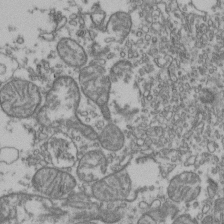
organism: Human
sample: Activated Jurkat CD4+ T cells